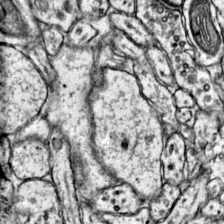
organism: Mouse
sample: Primary visual cortex